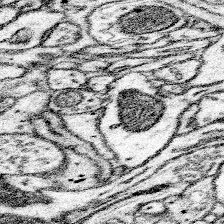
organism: Mouse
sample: Somatosensory cortex neuropil